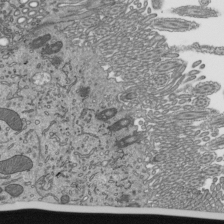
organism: Mouse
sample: Mouse epididymis efferent ductule cilia